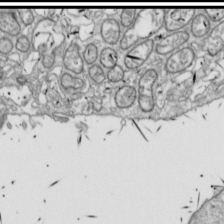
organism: Drosophila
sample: Cell division; meiosis; drosophila spermatocytes